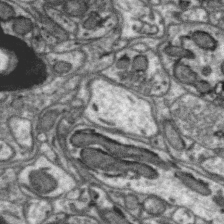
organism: Zebra finch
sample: Brain